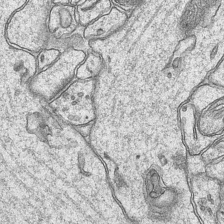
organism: Mouse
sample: CA1 Hippocampus